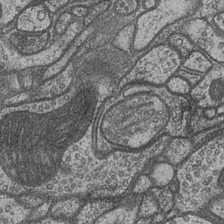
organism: Drosophila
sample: Optic medulla